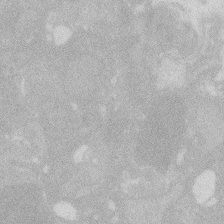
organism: Zebrafish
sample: Macrophage